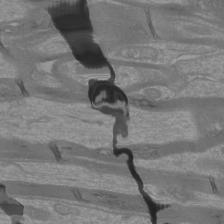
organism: Mouse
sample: Cortical neurons